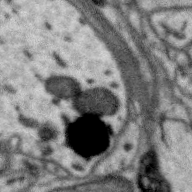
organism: Zebra finch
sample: Brain